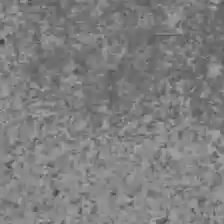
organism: C57BL Mouse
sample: Liver